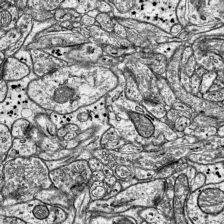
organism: Mouse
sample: Visual Cortex